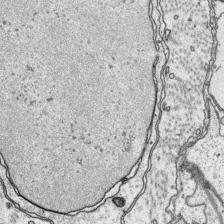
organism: Platynereis dumerilii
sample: Parapodia